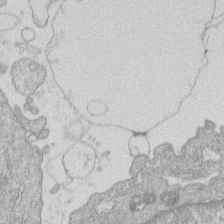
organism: Human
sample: Macrophage cells